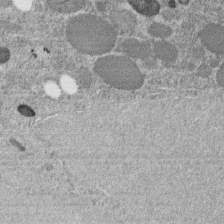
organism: C. elegans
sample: C. elegans embryo early stage